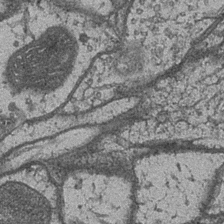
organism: Drosophila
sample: Optic medulla